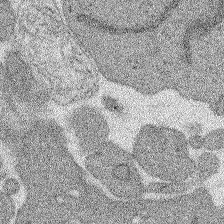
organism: Human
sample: HeLa cells